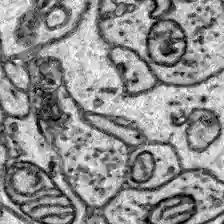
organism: Zebrafish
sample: Brain